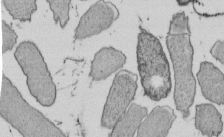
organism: E. coli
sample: Bacterial nucleoid